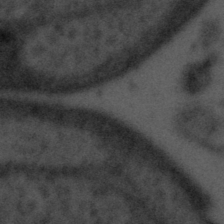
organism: Tuwongella immobilis